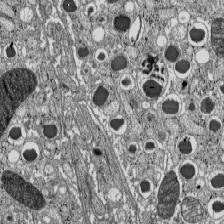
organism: C57BL Mouse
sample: Pancreatic islet